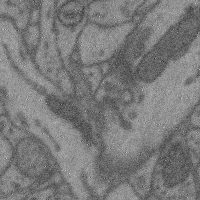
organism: Mouse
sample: Cerebral cortex